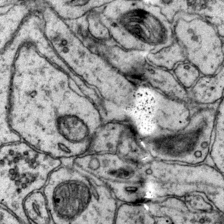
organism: Mouse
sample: Primary visual cortex